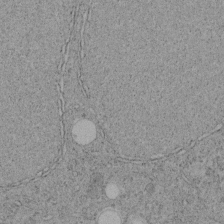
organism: C. elegans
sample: C. elegans embryo early stage